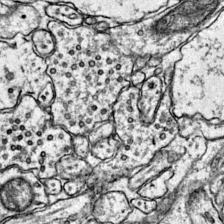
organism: Mouse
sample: Primary visual cortex